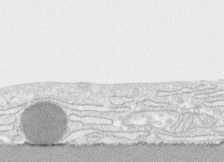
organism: Human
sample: CRL-1474